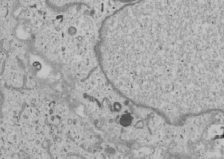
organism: Human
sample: Mitochondria in U2OS cells